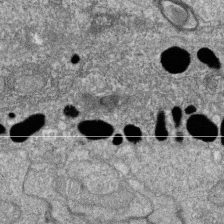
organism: Zebrafish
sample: Cilia; retinal pigment epithelium